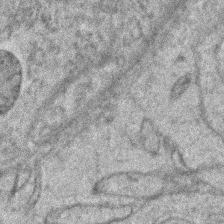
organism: Zebrafish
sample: Zebrafish embryo